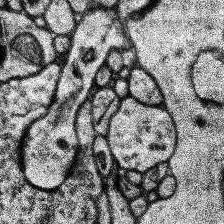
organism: Human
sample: Temporal Lobe